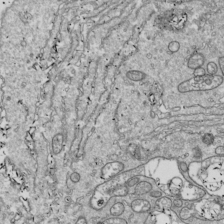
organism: Drosophila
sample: Cell division; meiosis; drosophila spermatocytes